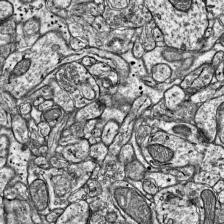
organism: Mouse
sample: Visual Cortex